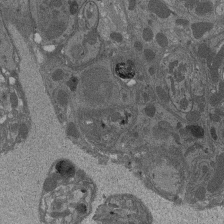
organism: Drosophila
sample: Antenna